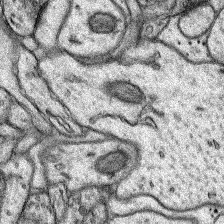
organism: Rat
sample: Hippocampus